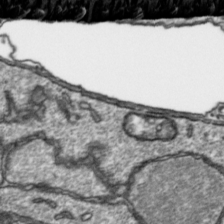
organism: Toxoplasma gondii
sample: Parasites in a vacuole inside a host cell